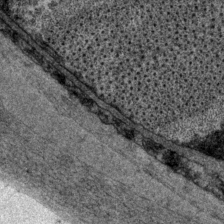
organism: P. pacificus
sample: Pharynx